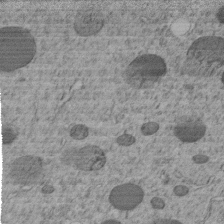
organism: C. elegans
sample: C. elegans embryo early stage